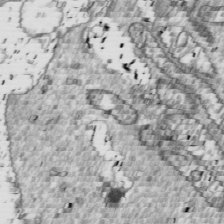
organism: Drosophila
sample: Cell division; meiosis; drosophila spermatocytes